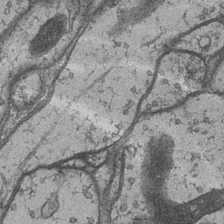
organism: Drosophila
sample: Optic medulla